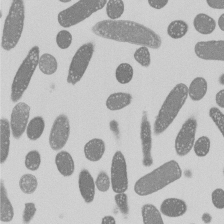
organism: E. coli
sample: Bacterial nucleoid